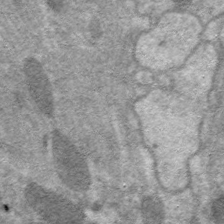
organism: C. elegans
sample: Pharynx